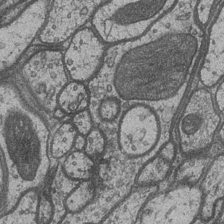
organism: Drosophila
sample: Optic medulla